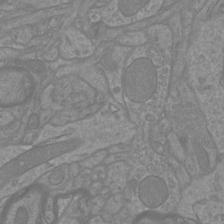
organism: Mouse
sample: Cortical neurons